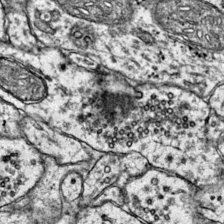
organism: Mouse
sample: Primary visual cortex